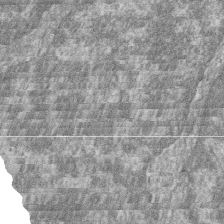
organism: Zebrafish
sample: Cilia; retinal pigment epithelium